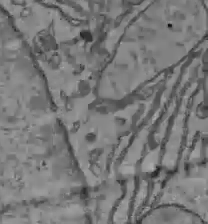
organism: C57BL Mouse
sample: Liver